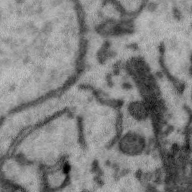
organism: Zebra finch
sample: Brain